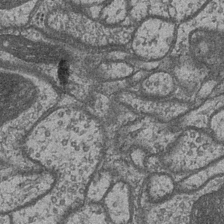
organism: Drosophila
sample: Optic medulla